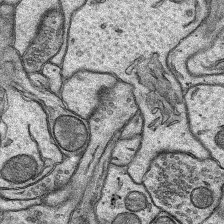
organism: Rat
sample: Hippocampus